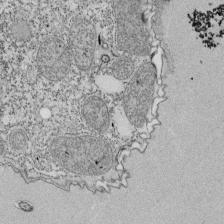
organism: Tetrahymena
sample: Cilia in tetrahymena